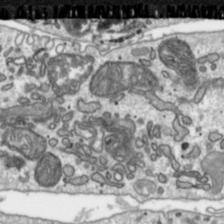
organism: Toxoplasma gondii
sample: Parasites in a vacuole inside a host cell